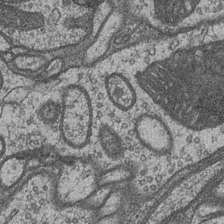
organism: Drosophila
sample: Optic medulla